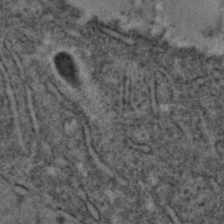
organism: C. elegans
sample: C. elegans embryo